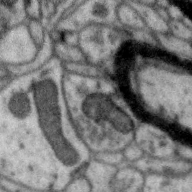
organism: Zebra finch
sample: Brain